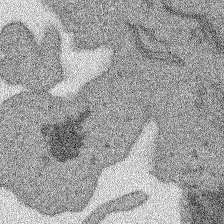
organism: Human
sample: HeLa cells